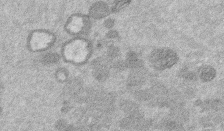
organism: Mouse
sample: Dividing mouse embryo 1 cell stage